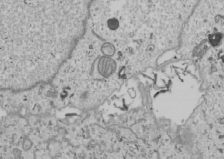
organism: Human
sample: Mitochondria in U2OS cells